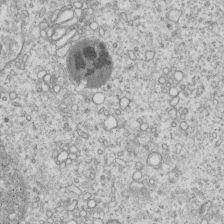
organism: Human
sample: MDA-MB-231 cells